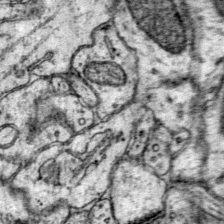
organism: Mouse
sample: Primary visual cortex